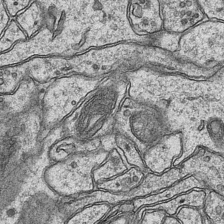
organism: Mouse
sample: CA1 Hippocampus